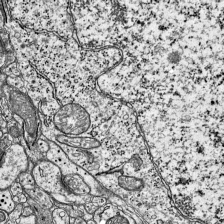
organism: Mouse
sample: Visual Cortex